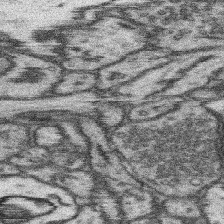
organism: Mouse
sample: Somatosensory cortex neuropil